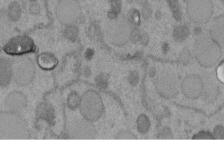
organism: C. elegans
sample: C. elegans embryo early stage